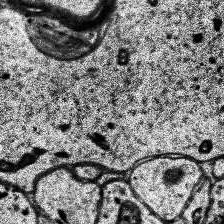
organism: Human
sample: Temporal Lobe